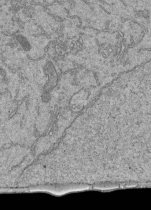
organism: Human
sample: Retinal organoid Rod and Cone cells